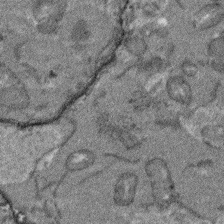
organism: Arabidopsis thaliana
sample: Root tip